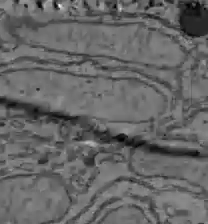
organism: C57BL Mouse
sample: Liver